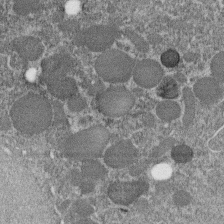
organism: C. elegans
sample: C. elegans embryo early stage